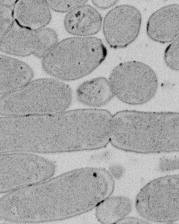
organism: E. coli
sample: Bacterial nucleoid